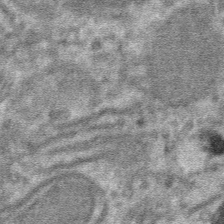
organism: Mouse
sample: Mouse hepatocytes